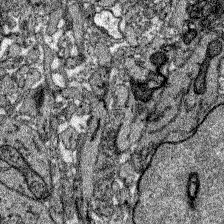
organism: Zebrafish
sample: Larval olfactory bulb